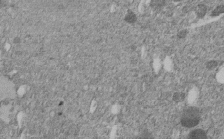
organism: C. elegans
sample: C. elegans embryo early stage